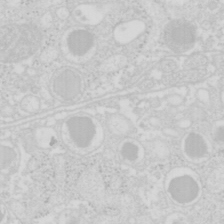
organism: Mouse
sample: Pancreas